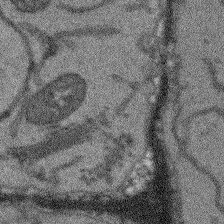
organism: Arabidopsis thaliana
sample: Root tip